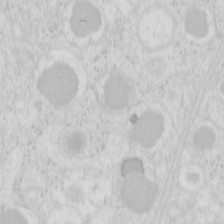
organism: Mouse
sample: Pancreas